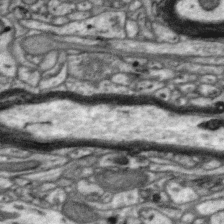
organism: Zebra finch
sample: Brain